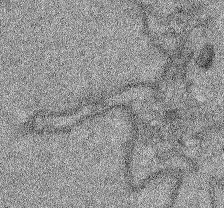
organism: Human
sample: HeLa cells